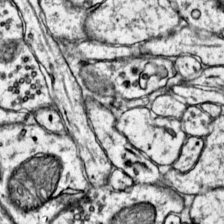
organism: Mouse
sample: Primary visual cortex